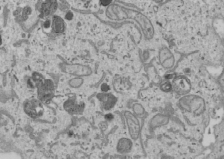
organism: Human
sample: Mitochondria in U2OS cells